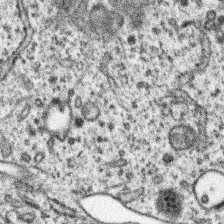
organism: Human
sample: HeLa cells